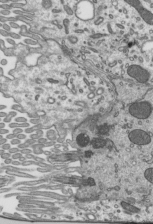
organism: Mouse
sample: Mouse epididymis efferent ductule cilia